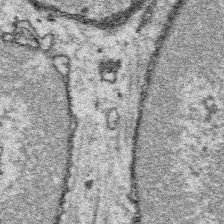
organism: Platynereis dumerilii